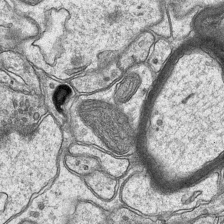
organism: Mouse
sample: CA1 Hippocampus